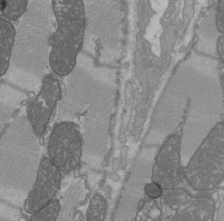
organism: C57BL Mouse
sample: Heart